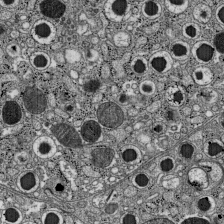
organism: C57BL Mouse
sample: Pancreatic islet